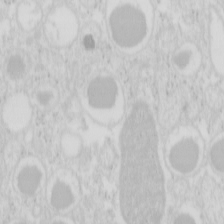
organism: Mouse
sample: Pancreas